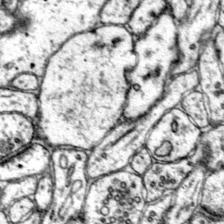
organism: Mouse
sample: Primary visual cortex